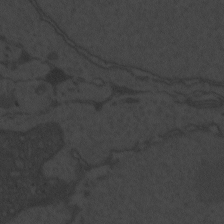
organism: Zebrafish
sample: Macrophage infected with Toxoplasma gondii